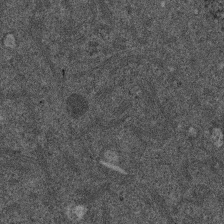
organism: Mouse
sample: Dividing mouse embryo 1 cell stage